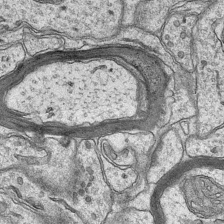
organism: Mouse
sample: CA1 Hippocampus